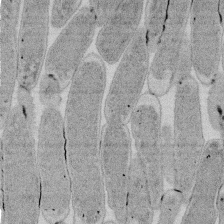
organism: E. coli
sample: Bacterial nucleoid